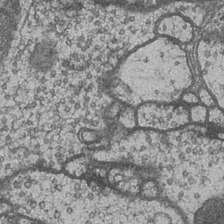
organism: Drosophila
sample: Optic medulla